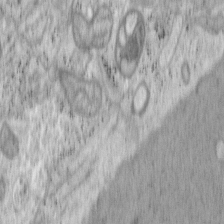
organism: Human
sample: HeLa cells